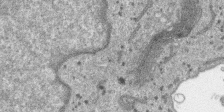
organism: Human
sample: Lung epithelial cells infected with SARS-CoV-2